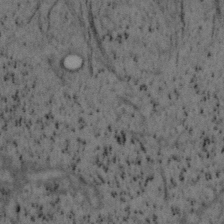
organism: Human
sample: HeLa cells